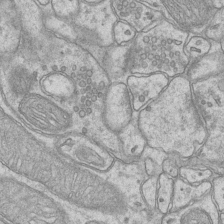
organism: Mouse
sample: CA1 Hippocampus